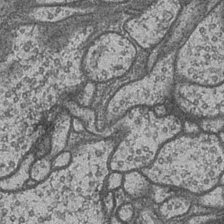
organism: Drosophila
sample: Optic medulla